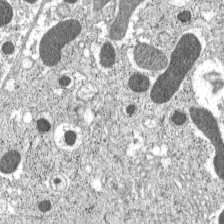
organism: C57BL Mouse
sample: Pancreatic islet